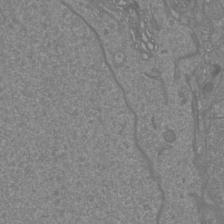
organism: Mouse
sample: Cortical neurons